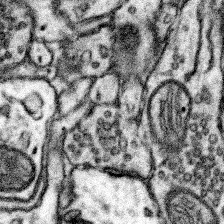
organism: Mouse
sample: Somatosensory cortex neuropil